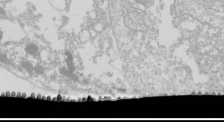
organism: Drosophila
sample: Cell division; meiosis; drosophila spermatocytes